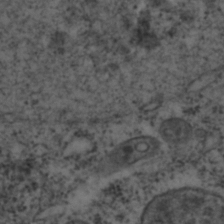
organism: C. elegans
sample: C. elegans embryo